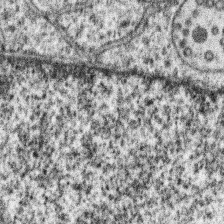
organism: Human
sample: HeLa cells